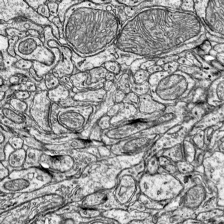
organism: Mouse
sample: Visual Cortex